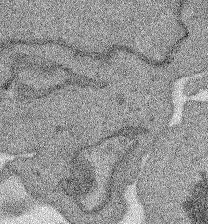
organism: Human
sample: HeLa cells